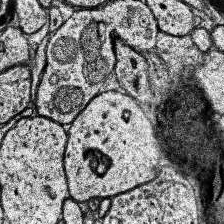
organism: Human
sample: Temporal Lobe